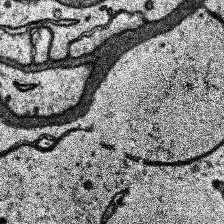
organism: Human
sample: Temporal Lobe